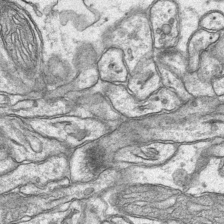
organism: Mouse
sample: CA1 Hippocampus